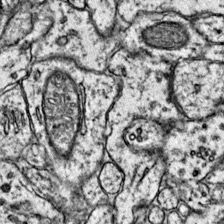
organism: Mouse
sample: Primary visual cortex